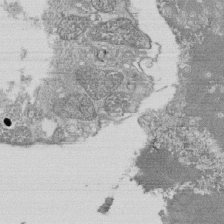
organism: Tetrahymena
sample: Cilia in tetrahymena